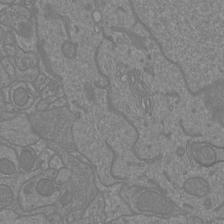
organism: Mouse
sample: Cortical neurons